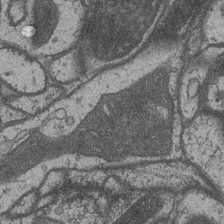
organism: Drosophila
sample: Optic medulla